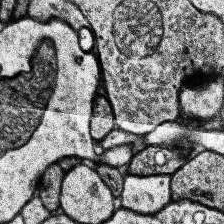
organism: Human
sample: Temporal Lobe